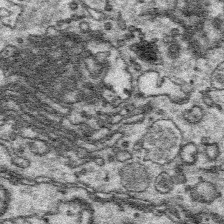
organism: Platynereis dumerilii